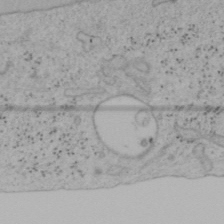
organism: Human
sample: HeLa cells